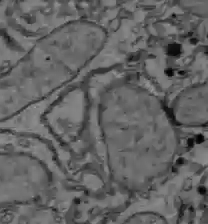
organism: C57BL Mouse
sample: Liver